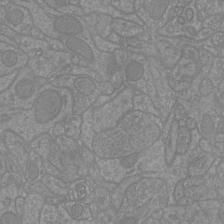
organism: Mouse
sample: Cortical neurons